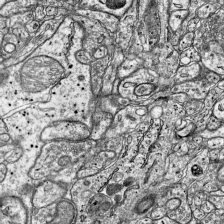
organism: Mouse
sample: Visual Cortex